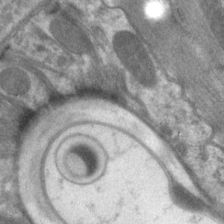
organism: C. elegans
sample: Pharynx